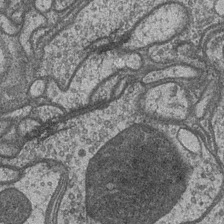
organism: Drosophila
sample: Optic medulla